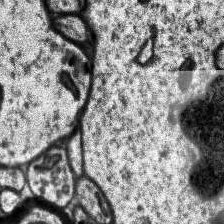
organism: Human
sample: Temporal Lobe